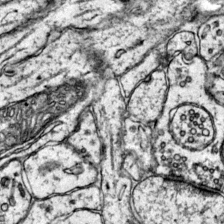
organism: Mouse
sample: Primary visual cortex